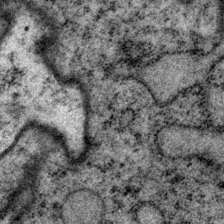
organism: P. pacificus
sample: Pharynx